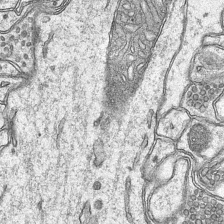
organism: Mouse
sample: CA1 Hippocampus